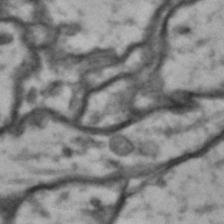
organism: Drosophila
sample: Brain